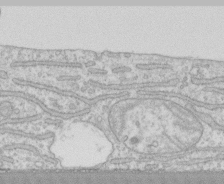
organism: Human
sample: CRL-1474